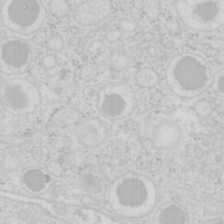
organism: Mouse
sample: Pancreas